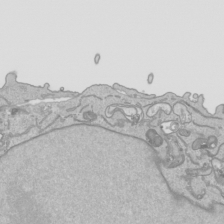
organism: Human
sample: Mitochondria in HCT116 cells